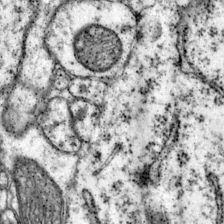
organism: Mouse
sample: Primary visual cortex